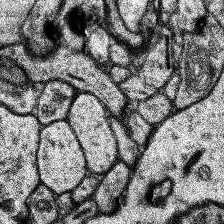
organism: Human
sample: Temporal Lobe